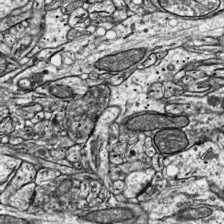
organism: Mouse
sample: Visual Cortex